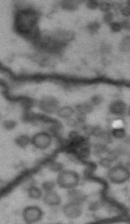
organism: Drosophila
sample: Brain